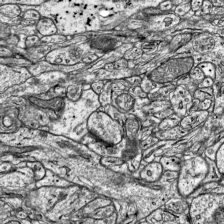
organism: Mouse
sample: Visual Cortex